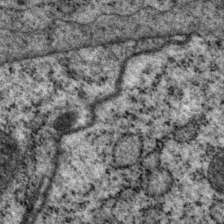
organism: P. pacificus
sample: Pharynx